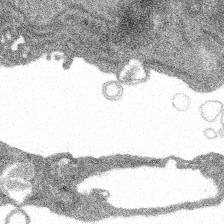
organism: Spongilla lacustris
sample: Multiple